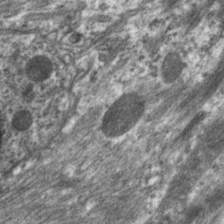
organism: C. elegans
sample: Pharynx